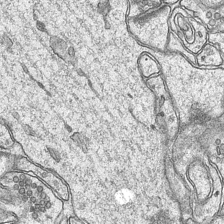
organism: Mouse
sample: CA1 Hippocampus